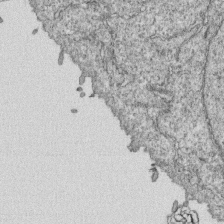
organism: Human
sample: HeLa cell HIV synapse